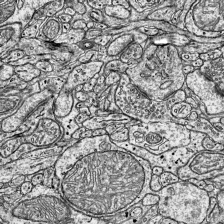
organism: Mouse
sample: Visual Cortex